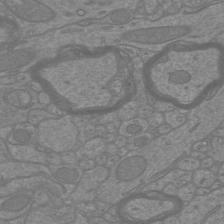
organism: Mouse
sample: Cortical neurons